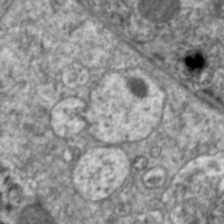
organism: C. elegans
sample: Pharynx